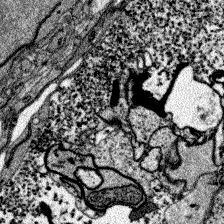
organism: Zebrafish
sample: Larval olfactory bulb